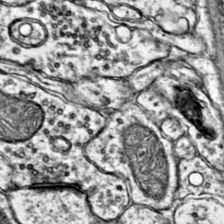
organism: Mouse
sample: Primary visual cortex